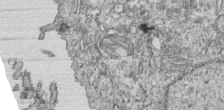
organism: Human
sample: HeLa cell HIV synapse